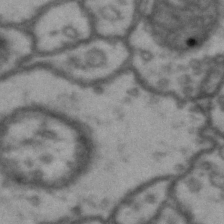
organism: Drosophila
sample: Brain